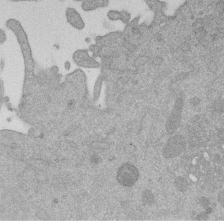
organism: Mouse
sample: Dividing mouse embryo 1 cell stage